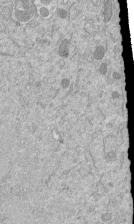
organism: Mouse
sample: ED-1 cell nuclei; centrioles